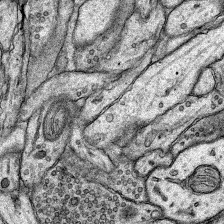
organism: Rat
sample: Hippocampus